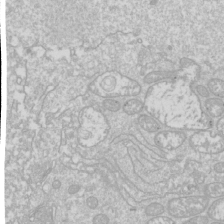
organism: Drosophila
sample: Cell division; meiosis; drosophila spermatocytes